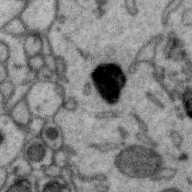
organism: Zebra finch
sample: Brain